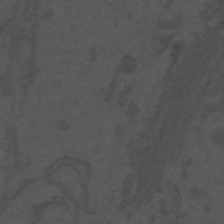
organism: Mouse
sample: Suprachiasmatic nucleus